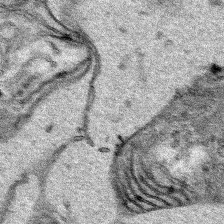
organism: Human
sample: Mitochondria in HCT116 cells